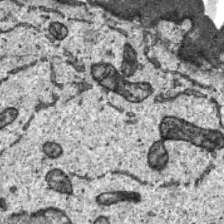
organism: Human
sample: HeLa cells